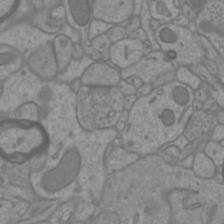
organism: Mouse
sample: Cortical neurons